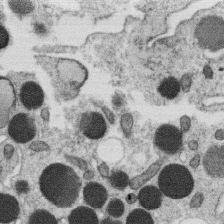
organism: C. elegans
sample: C. elegans oocyte; sperm cells